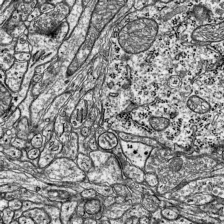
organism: Mouse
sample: Visual Cortex